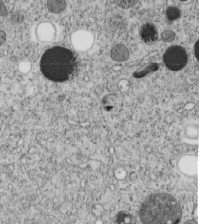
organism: C. elegans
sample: C. elegans embryo early stage